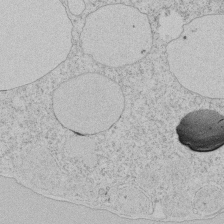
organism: Tetrahymena